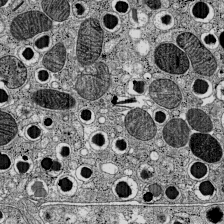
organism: C57BL Mouse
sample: Pancreatic islet